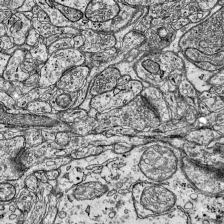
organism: Mouse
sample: Visual Cortex